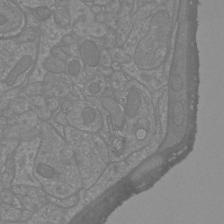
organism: Mouse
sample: Cortical neurons